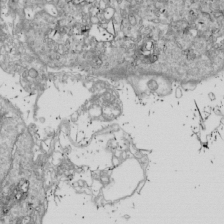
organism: Drosophila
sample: Cell division; meiosis; drosophila spermatocytes